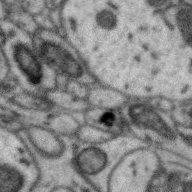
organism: Zebra finch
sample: Brain